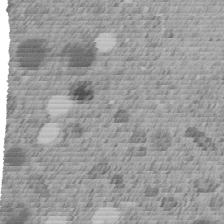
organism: C. elegans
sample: C. elegans embryo early stage